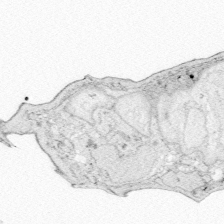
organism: Zebrafish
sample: Whole-Brain